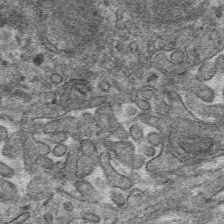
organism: Mouse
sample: Mouse hepatocytes